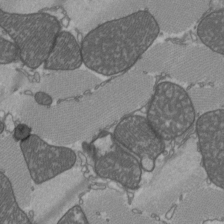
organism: C57BL Mouse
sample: Heart